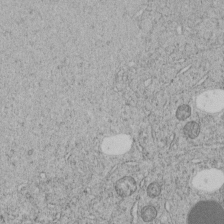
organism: C. elegans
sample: C. elegans embryo early stage